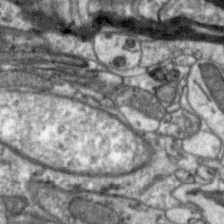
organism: Zebra finch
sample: Brain